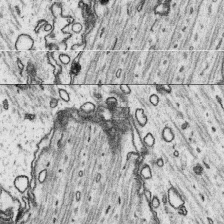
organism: Platynereis dumerilii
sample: Parapodia